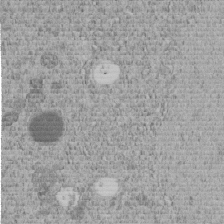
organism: C. elegans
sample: C. elegans embryo early stage